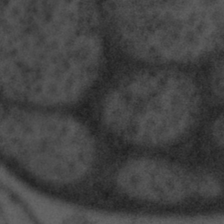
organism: Tuwongella immobilis